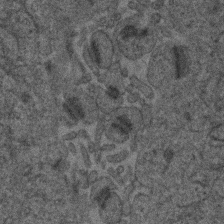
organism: Human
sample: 1205lu cells